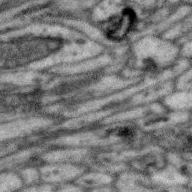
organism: Zebra finch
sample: Brain